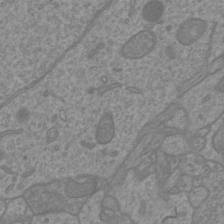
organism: Mouse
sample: Cortical neurons